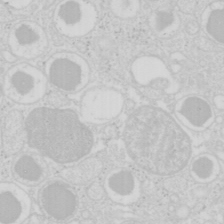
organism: Mouse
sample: Pancreas